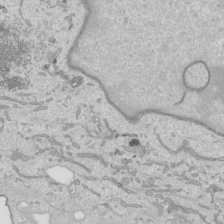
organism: Human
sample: Mitochondria in HCT116 cells